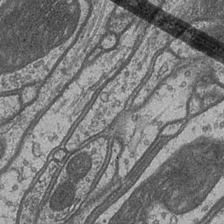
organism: Drosophila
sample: Optic medulla